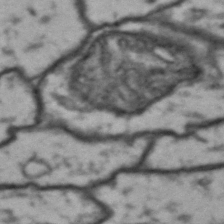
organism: Drosophila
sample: Brain